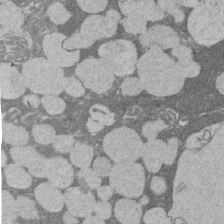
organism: Rat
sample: Salivary granule